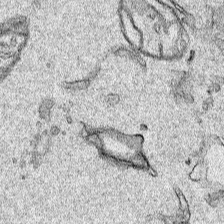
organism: Human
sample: Mitochondria in HCT116 cells